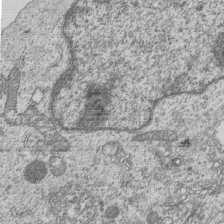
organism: Human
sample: MDA-MB-231 cells